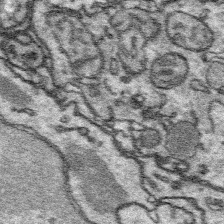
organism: Platynereis dumerilii